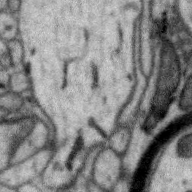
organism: Zebra finch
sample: Brain